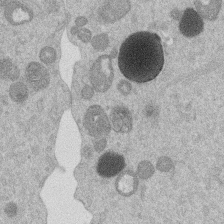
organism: Mouse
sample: Dividing mouse embryo 1 cell stage